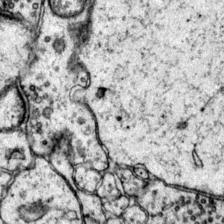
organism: Mouse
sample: Primary visual cortex